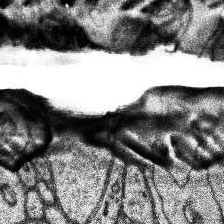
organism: Human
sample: Temporal Lobe